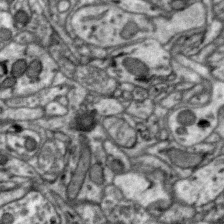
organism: Zebra finch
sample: Brain